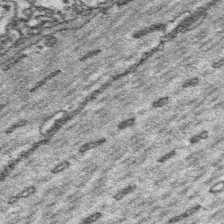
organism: Platynereis dumerilii